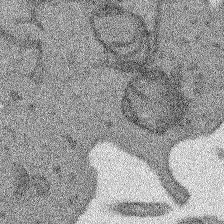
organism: Human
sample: HeLa cells